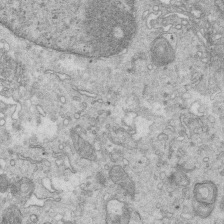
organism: Mouse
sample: Multiciliated cells